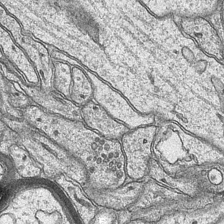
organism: Mouse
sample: CA1 Hippocampus